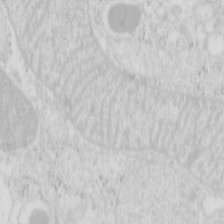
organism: Mouse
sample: Pancreas